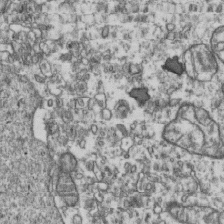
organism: Human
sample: Activated Jurkat CD4+ T cells